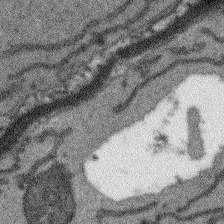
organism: Arabidopsis thaliana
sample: Root tip